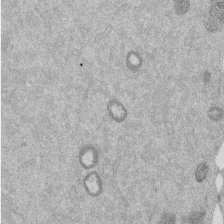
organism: Mouse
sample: Dividing mouse embryo 1 cell stage